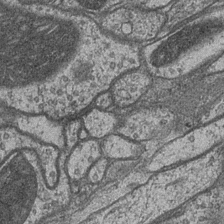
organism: Drosophila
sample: Optic medulla